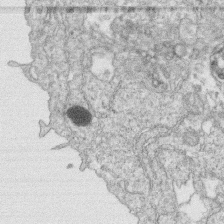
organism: Human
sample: HeLa cell HIV synapse